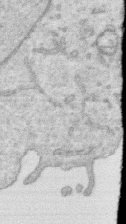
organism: Human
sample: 1205lu cells